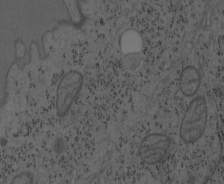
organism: Mouse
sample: OT-I killer T cells with ID8 ovarian cancer cells